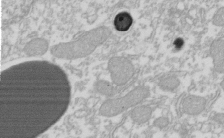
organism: Xenopus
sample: Cilia; centrioles in frog embryo cells